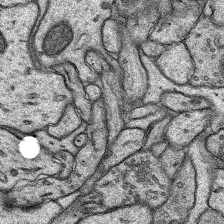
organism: Rat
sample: Hippocampus